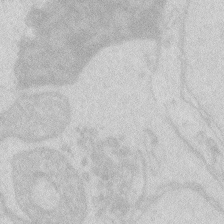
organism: Zebrafish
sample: Macrophage